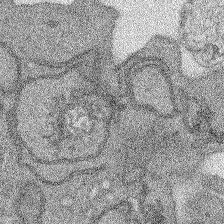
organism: Human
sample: HeLa cells